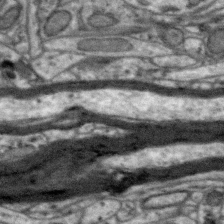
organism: Zebra finch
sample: Brain